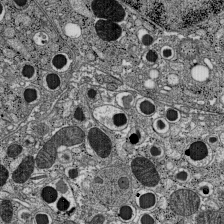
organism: C57BL Mouse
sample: Pancreatic islet